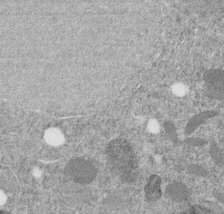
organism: C. elegans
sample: C. elegans embryo early stage